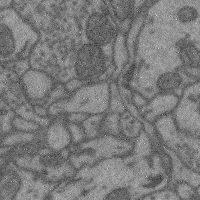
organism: Mouse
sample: Cerebral cortex